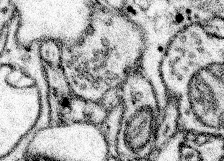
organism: Mouse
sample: Somatosensory cortex neuropil